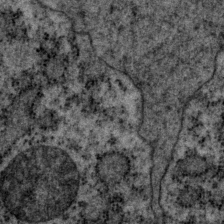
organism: P. pacificus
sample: Pharynx